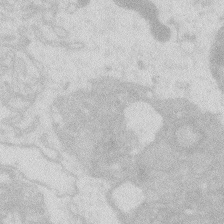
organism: Zebrafish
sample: Macrophage